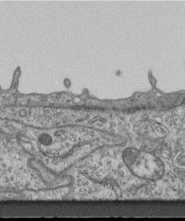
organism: Mouse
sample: Centriole in ependymal cells